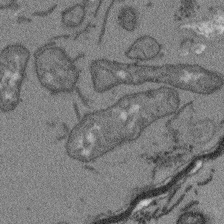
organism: Arabidopsis thaliana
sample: Root tip